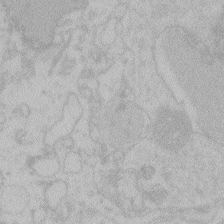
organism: Zebrafish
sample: Macrophage infected with Toxoplasma gondii